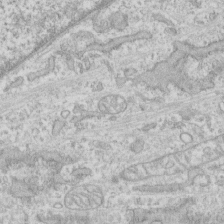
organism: Human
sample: CRL-1474